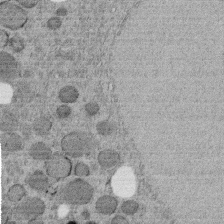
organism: C. elegans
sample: C. elegans embryo early stage